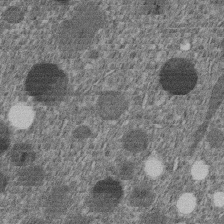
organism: C. elegans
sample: C. elegans embryo early stage